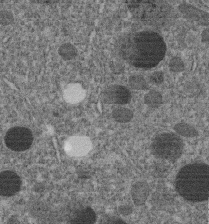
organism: C. elegans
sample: C. elegans embryo early stage